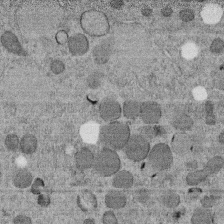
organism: C. elegans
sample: C. elegans embryo early stage